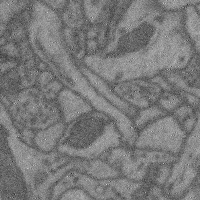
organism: Mouse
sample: Cerebral cortex